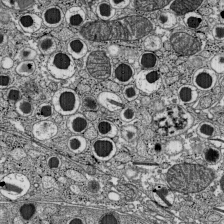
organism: C57BL Mouse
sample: Pancreatic islet